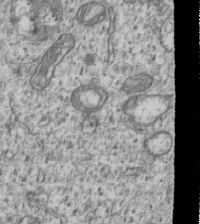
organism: Human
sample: MDA-MB-231 cells